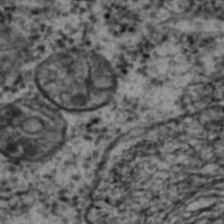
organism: C. elegans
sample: C. elegans embryo